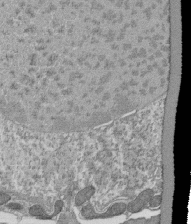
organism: Tetrahymena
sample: Cilia in tetrahymena